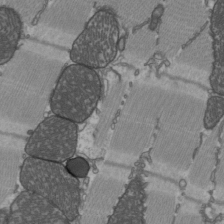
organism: C57BL Mouse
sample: Heart